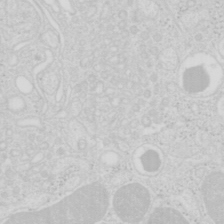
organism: Mouse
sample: Pancreas